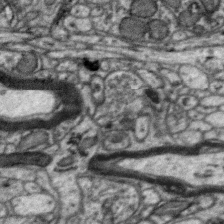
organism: Zebra finch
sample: Brain